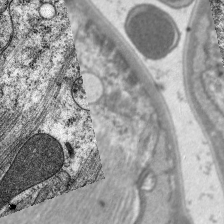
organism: C. elegans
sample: Pharynx